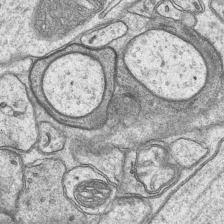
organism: Mouse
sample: CA1 Hippocampus